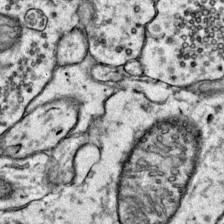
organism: Mouse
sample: Primary visual cortex